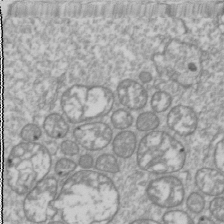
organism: Drosophila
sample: Cell division; meiosis; drosophila spermatocytes